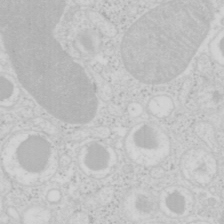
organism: Mouse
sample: Pancreas